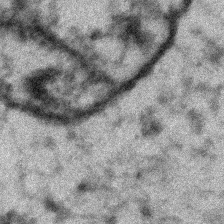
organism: Zebrafish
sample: Zebrafish embryo